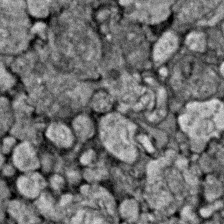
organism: Zebrafish